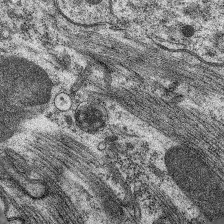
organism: C. elegans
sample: Pharynx